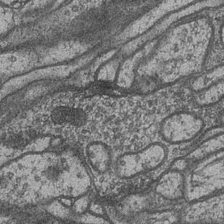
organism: Drosophila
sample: Optic medulla